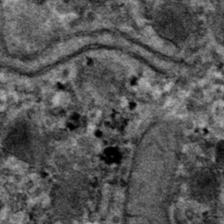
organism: Mouse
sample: Mouse hepatocytes